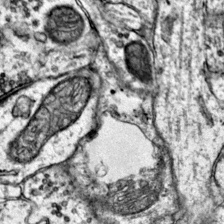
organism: Mouse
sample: Primary visual cortex